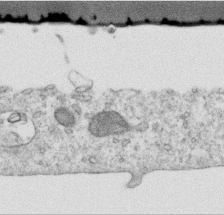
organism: Human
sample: Centriole in RPE cells